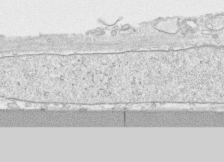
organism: Human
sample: CRL-1474